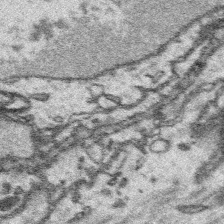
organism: Platynereis dumerilii